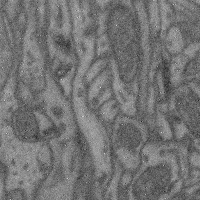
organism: Mouse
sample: Cerebral cortex